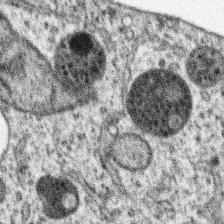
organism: Human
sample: HeLa cells